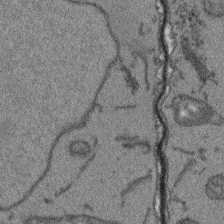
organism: Arabidopsis thaliana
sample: Root tip